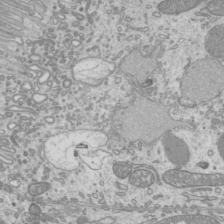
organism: Mouse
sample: Cilia; mouse epididymis